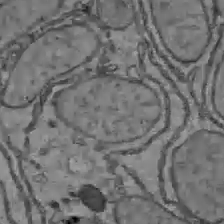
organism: C57BL Mouse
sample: Liver